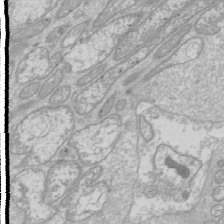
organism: Drosophila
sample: Cell division; meiosis; drosophila spermatocytes